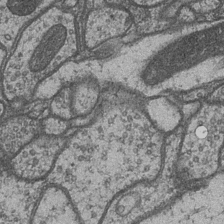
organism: Drosophila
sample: Optic medulla